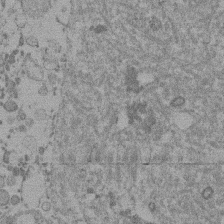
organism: Mouse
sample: Dividing mouse embryo 1 cell stage